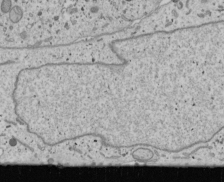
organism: Human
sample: Mitochondria in U2OS cells